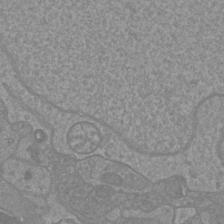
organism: Mouse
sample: Cortical neurons